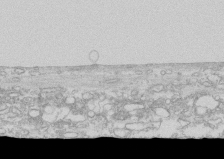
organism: Human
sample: CRL-1474